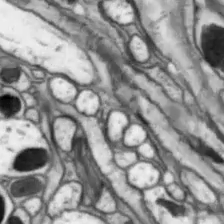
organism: Drosophila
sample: Optic lobe